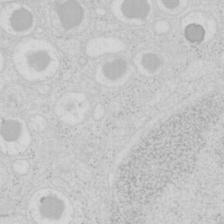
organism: Mouse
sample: Pancreas